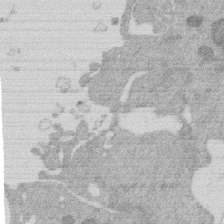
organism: Mouse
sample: Dividing mouse embryo 1 cell stage